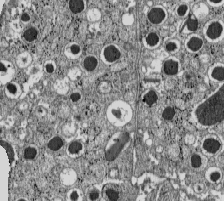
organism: C57BL Mouse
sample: Pancreatic islet